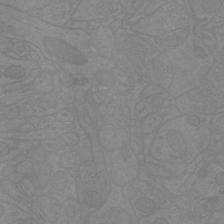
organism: Mouse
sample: Cortical neurons